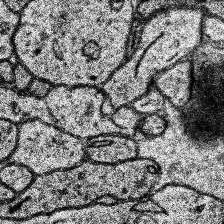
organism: Human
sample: Temporal Lobe